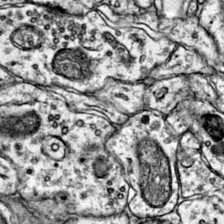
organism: Mouse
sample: Primary visual cortex